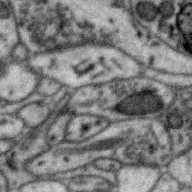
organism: Zebra finch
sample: Brain